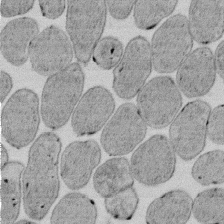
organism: E. coli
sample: Bacterial nucleoid